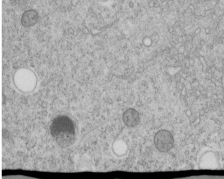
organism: C. elegans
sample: C. elegans embryo early stage